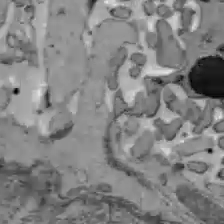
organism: C57BL Mouse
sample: Liver